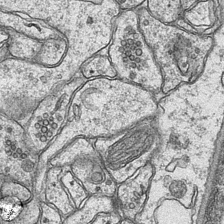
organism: Mouse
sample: CA1 Hippocampus